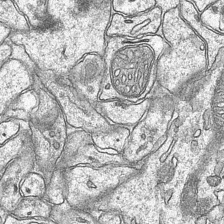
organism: Mouse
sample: CA1 Hippocampus